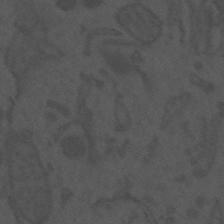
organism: Mouse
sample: Suprachiasmatic nucleus